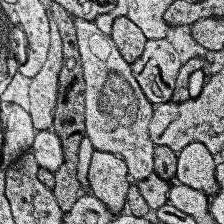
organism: Human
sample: Temporal Lobe